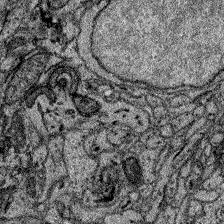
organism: Zebrafish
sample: Larval olfactory bulb